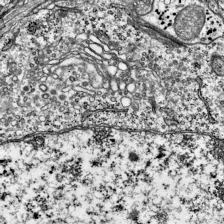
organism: Mouse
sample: Visual Cortex